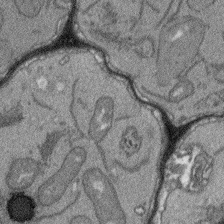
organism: Arabidopsis thaliana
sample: Root tip